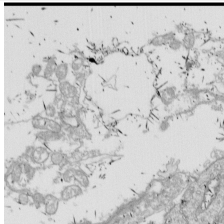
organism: Drosophila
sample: Cell division; meiosis; drosophila spermatocytes